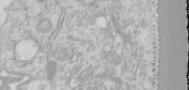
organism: Human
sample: Centriole in RPE cells